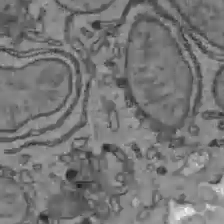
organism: C57BL Mouse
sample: Liver